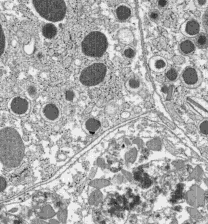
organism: C57BL Mouse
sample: Pancreatic islet